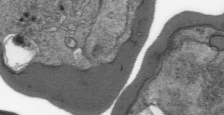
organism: Plasmodium falciparum